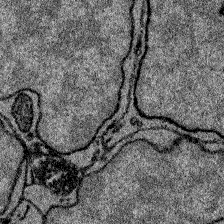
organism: Zebrafish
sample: Larval olfactory bulb